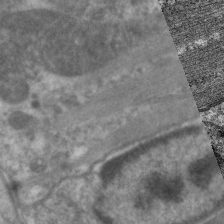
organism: C. elegans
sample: Pharynx